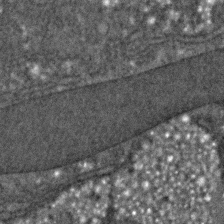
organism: C. elegans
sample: C. elegans embryo